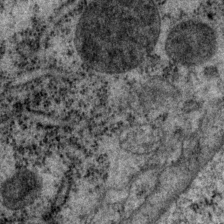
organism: P. pacificus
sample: Pharynx